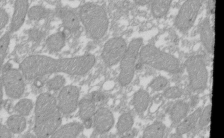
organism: Xenopus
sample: Cilia; centrioles in frog embryo cells